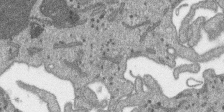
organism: Human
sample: Lung epithelial cells infected with SARS-CoV-2